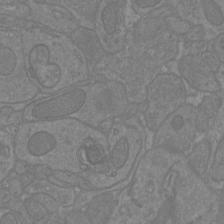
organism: Mouse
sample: Cortical neurons